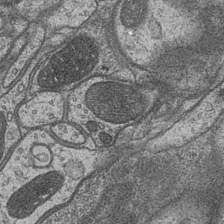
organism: Drosophila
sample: Optic medulla